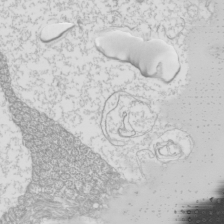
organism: Mouse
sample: Cilia; mouse epididymis